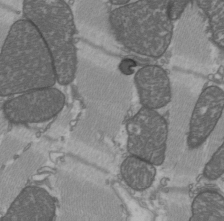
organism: C57BL Mouse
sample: Heart